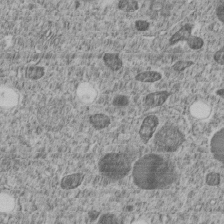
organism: C. elegans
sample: C. elegans embryo early stage